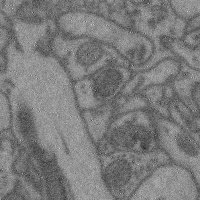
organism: Mouse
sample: Cerebral cortex